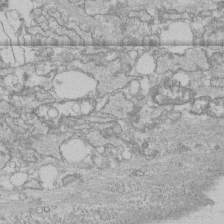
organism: Human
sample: CRL-1474